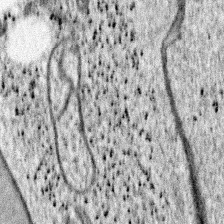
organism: Human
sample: HeLa cells